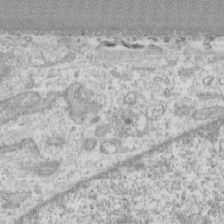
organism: Human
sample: CRL-1474